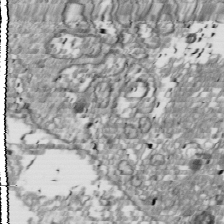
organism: Drosophila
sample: Cell division; meiosis; drosophila spermatocytes